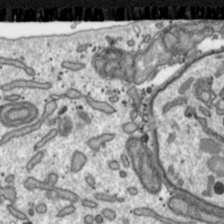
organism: Toxoplasma gondii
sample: Parasites in a vacuole inside a host cell